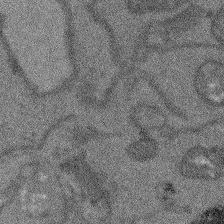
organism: Arabidopsis thaliana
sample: Root tip